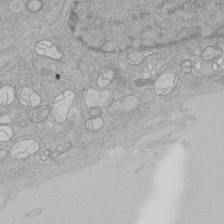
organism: Human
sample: Mitochondria in HCT116 cells